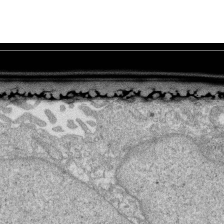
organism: Human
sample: HeLa cell HIV synapse